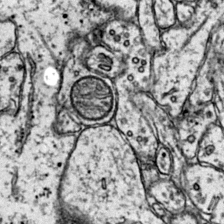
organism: Mouse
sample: Primary visual cortex